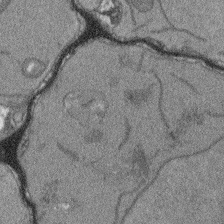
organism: Arabidopsis thaliana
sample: Root tip